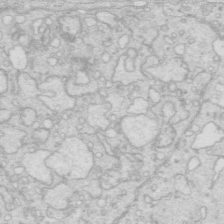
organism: Mouse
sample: Multiciliated cells